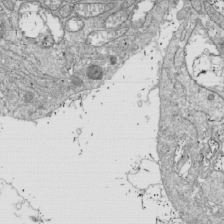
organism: Drosophila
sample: Cell division; meiosis; drosophila spermatocytes